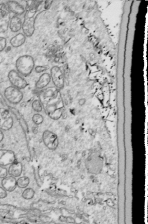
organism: Drosophila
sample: Cell division; meiosis; drosophila spermatocytes